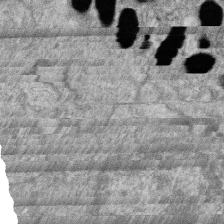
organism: Zebrafish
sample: Cilia; retinal pigment epithelium